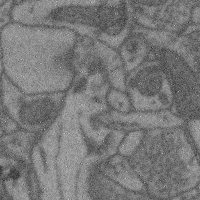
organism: Mouse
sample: Cerebral cortex